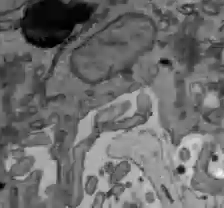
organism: C57BL Mouse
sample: Liver